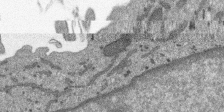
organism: Human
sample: Lung epithelial cells infected with SARS-CoV-2